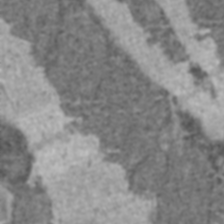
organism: C57BL Mouse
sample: Heart